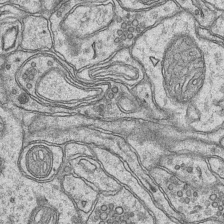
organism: Mouse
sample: CA1 Hippocampus